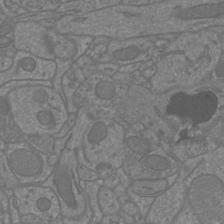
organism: Mouse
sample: Cortical neurons